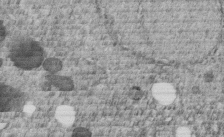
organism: C. elegans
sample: C. elegans embryo early stage